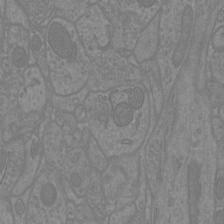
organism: Mouse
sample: Cortical neurons